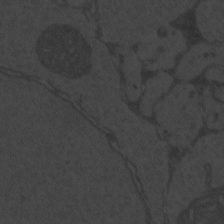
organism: Zebrafish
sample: Macrophage infected with Toxoplasma gondii